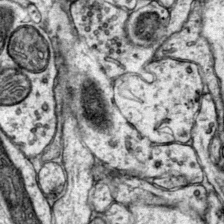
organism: Mouse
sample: Primary visual cortex